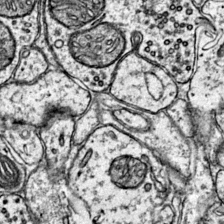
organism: Mouse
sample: Primary visual cortex